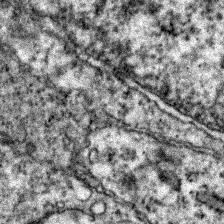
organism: Zebrafish